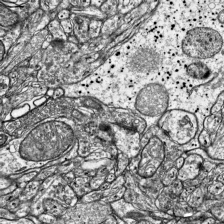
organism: Mouse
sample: Visual Cortex